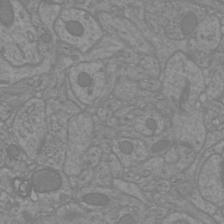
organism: Mouse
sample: Cortical neurons